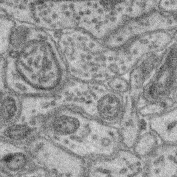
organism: Mouse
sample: Retina